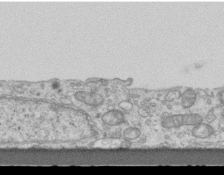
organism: Mouse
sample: Centriole in ependymal cells